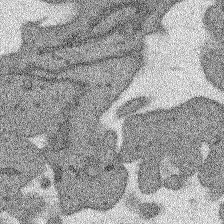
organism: Human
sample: HeLa cells